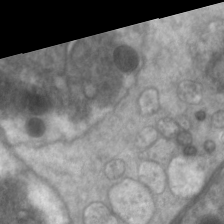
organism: C. elegans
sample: Pharynx